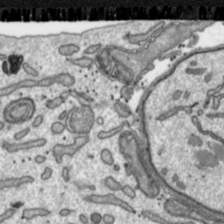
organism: Toxoplasma gondii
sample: Parasites in a vacuole inside a host cell